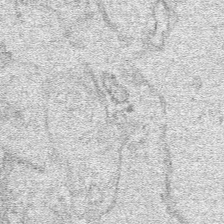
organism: Human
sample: Mitochondria in HCT116 cells